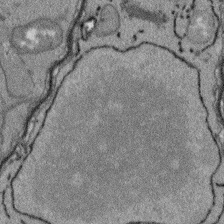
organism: Arabidopsis thaliana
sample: Root tip